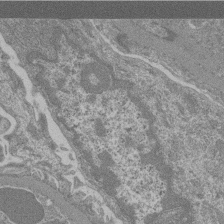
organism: Mouse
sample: Glomerulus